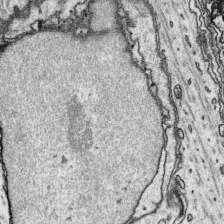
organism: Platynereis dumerilii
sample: Parapodia